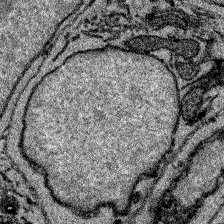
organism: Zebrafish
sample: Larval olfactory bulb